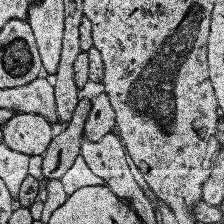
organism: Human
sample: Temporal Lobe